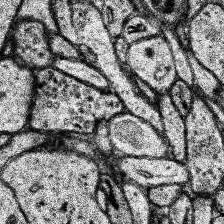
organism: Human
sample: Temporal Lobe